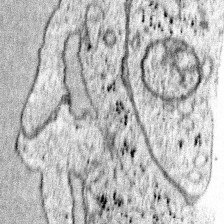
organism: Human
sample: HeLa cells